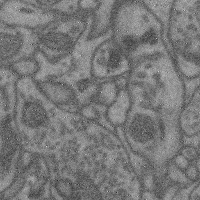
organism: Mouse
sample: Cerebral cortex